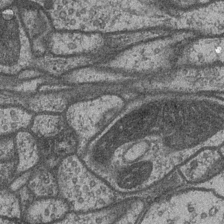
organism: Drosophila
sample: Optic medulla